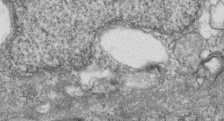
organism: Zebrafish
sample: Cilia; retinal pigment epithelium